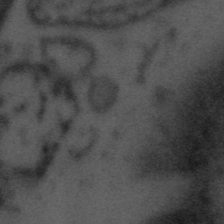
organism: Tuwongella immobilis